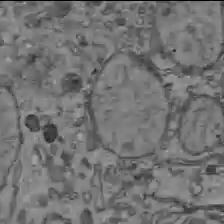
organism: C57BL Mouse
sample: Liver